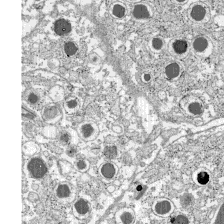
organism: C57BL Mouse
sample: Pancreatic islet